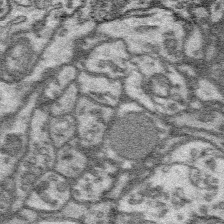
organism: Platynereis dumerilii